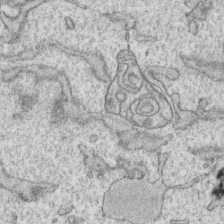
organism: Human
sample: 1205lu cells